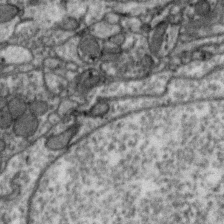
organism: Zebra finch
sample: Brain